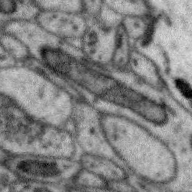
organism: Zebra finch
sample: Brain